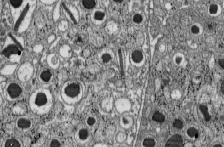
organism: C57BL Mouse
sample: Pancreatic islet